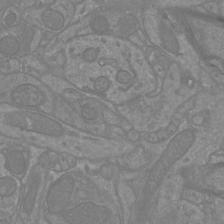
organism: Mouse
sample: Cortical neurons